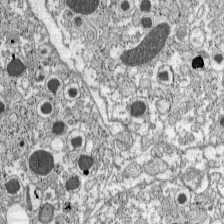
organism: C57BL Mouse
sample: Pancreatic islet